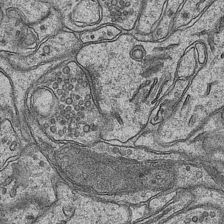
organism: Mouse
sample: CA1 Hippocampus